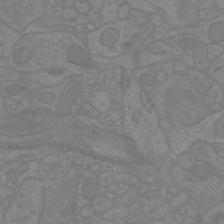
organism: Mouse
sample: Cortical neurons